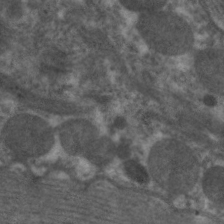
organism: C. elegans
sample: Pharynx